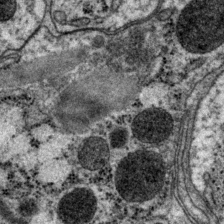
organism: P. pacificus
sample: Pharynx